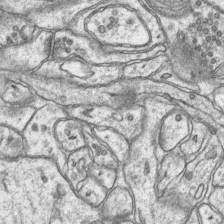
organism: Mouse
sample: CA1 Hippocampus